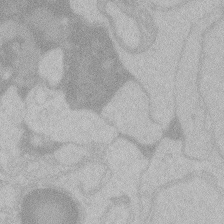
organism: Zebrafish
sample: Macrophage infected with Toxoplasma gondii